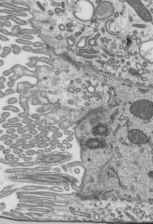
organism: Mouse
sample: Mouse epididymis efferent ductule cilia